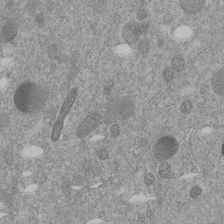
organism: C. elegans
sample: C. elegans embryo early stage